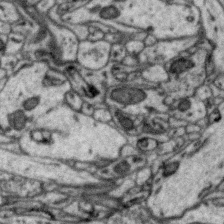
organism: Zebra finch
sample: Brain